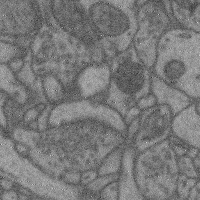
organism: Mouse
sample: Cerebral cortex